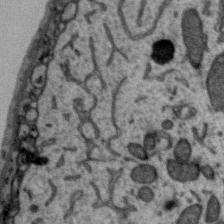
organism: Zebra finch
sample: Brain